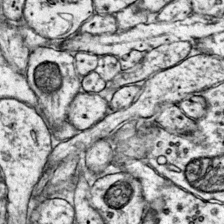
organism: Mouse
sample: Primary visual cortex